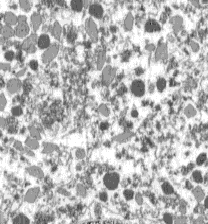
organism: C57BL Mouse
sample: Pancreatic islet